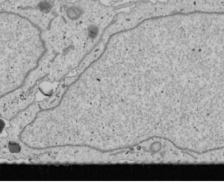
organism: Human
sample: Mitochondria in U2OS cells